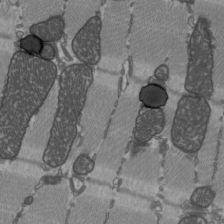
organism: C57BL Mouse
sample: Heart